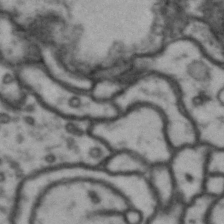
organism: Drosophila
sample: Brain